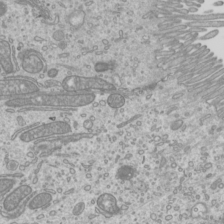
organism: Mouse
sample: Cilia; mouse epididymis